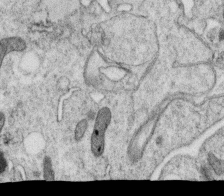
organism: C. elegans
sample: C. elegans oocyte; sperm cells